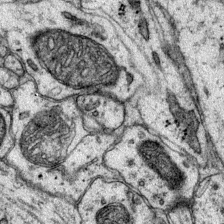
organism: Mouse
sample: Primary visual cortex